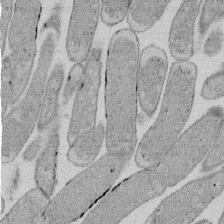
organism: E. coli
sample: Bacterial nucleoid